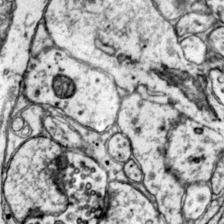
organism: Mouse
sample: Primary visual cortex